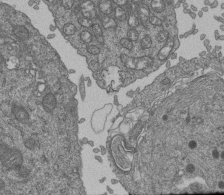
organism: Human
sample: Retinal organoid Rod and Cone cells